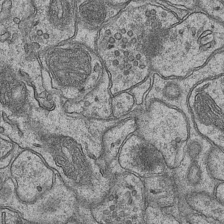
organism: Mouse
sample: CA1 Hippocampus